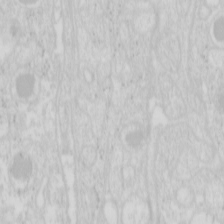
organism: Mouse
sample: Pancreas